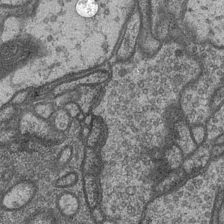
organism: Drosophila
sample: Optic medulla